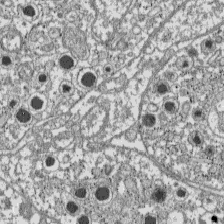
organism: C57BL Mouse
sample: Pancreatic islet